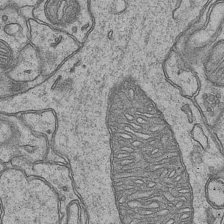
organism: Mouse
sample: CA1 Hippocampus